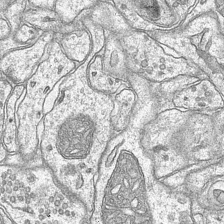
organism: Mouse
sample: CA1 Hippocampus